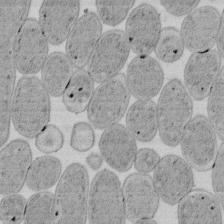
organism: E. coli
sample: Bacterial nucleoid